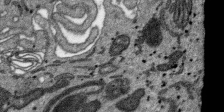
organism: Human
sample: Lung epithelial cells, uninfected (mock) control